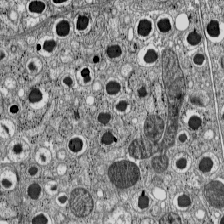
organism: C57BL Mouse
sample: Pancreatic islet